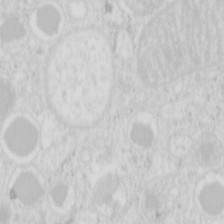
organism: Mouse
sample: Pancreas